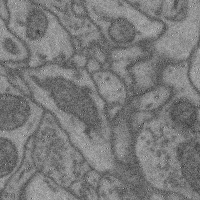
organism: Mouse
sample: Cerebral cortex